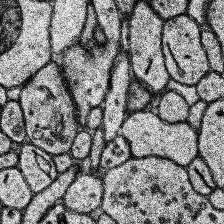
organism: Human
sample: Temporal Lobe